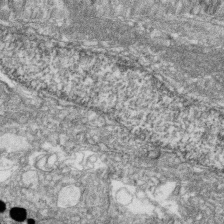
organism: Zebrafish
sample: Cilia; retinal pigment epithelium